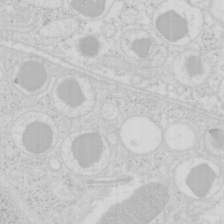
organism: Mouse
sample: Pancreas